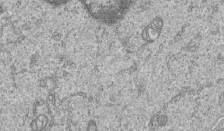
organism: Human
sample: MDA-MB-231 cells